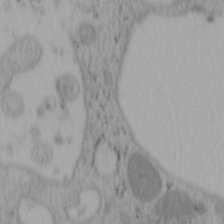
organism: Mouse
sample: OT-I killer T cells with ID8 ovarian cancer cells